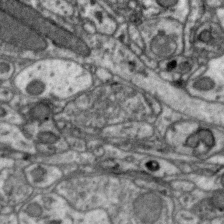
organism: Zebra finch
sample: Brain